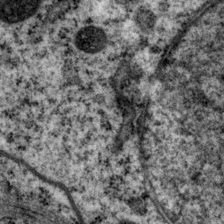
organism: P. pacificus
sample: Pharynx